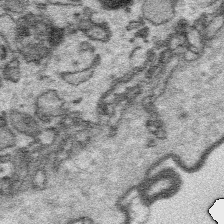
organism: Platynereis dumerilii